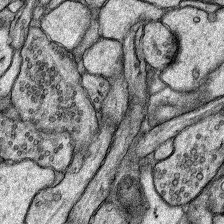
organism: Rat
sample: Hippocampus